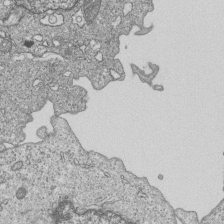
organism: Human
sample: MDA-MB-231 cells